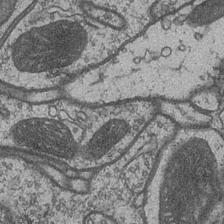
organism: Drosophila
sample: Optic medulla